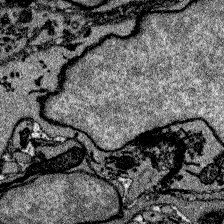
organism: Zebrafish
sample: Larval olfactory bulb